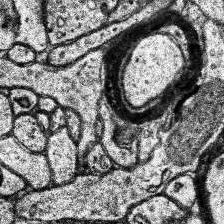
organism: Human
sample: Temporal Lobe